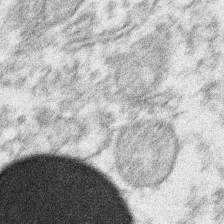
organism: Xenopus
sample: Cilia; centrioles in frog embryo cells